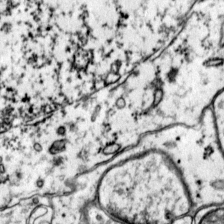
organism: Mouse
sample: Primary visual cortex